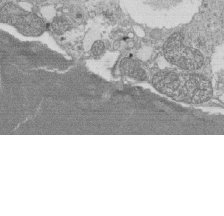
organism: Tetrahymena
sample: Cilia in tetrahymena